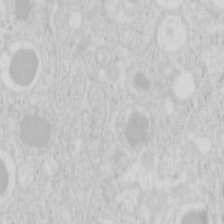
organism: Mouse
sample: Pancreas